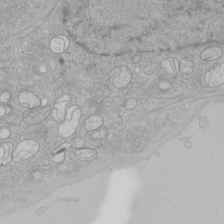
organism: Human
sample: Mitochondria in HCT116 cells